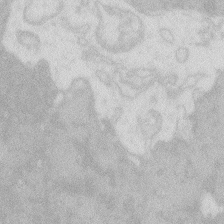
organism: Zebrafish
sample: Macrophage